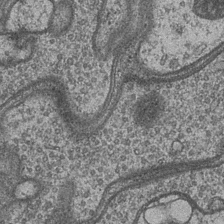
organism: Drosophila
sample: Optic medulla